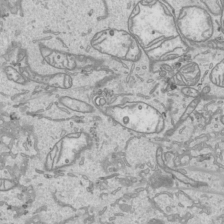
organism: Human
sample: Mitochondria in HCT116 cells